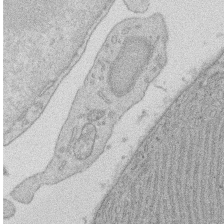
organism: Rat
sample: Salivary granule